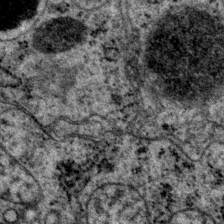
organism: P. pacificus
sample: Pharynx